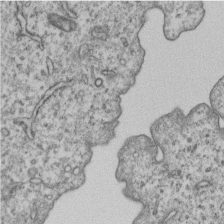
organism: Human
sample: MDA-MB-231 cells